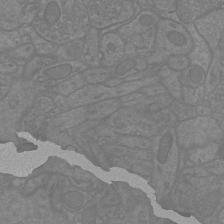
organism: Mouse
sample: Cortical neurons